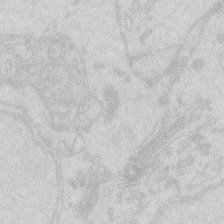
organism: Zebrafish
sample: Macrophage